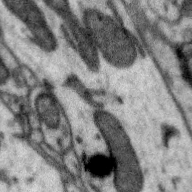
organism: Zebra finch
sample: Brain